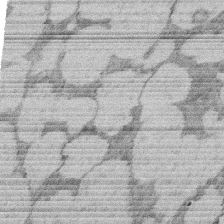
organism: Rat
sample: Salivary granule